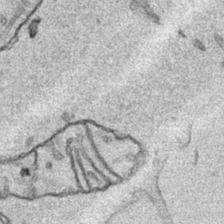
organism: Human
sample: Mitochondria in HCT116 cells